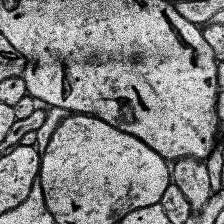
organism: Human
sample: Temporal Lobe